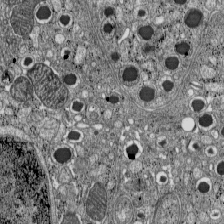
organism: C57BL Mouse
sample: Pancreatic islet